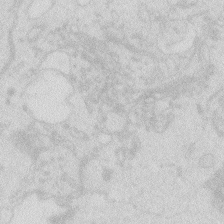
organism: Zebrafish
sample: Macrophage